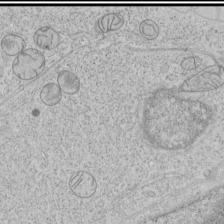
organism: Human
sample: Mitochondria in HCT116 cells